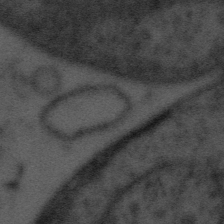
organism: Tuwongella immobilis